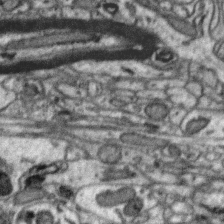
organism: Zebra finch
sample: Brain